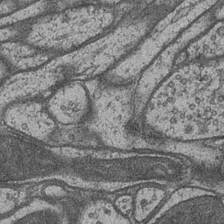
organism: Drosophila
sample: Optic medulla